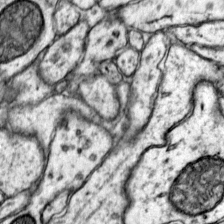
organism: Mouse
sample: Primary visual cortex